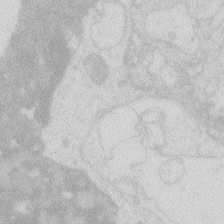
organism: Zebrafish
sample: Macrophage